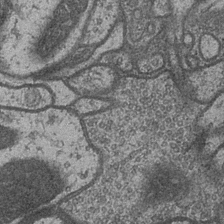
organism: Drosophila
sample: Optic medulla